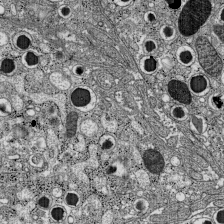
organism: C57BL Mouse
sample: Pancreatic islet